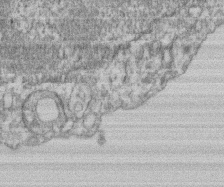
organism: Mouse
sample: T cell stromal cell synapse